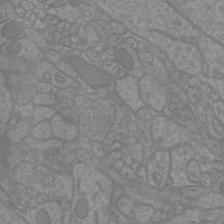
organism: Mouse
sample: Cortical neurons